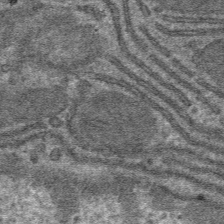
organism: Mouse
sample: Mouse hepatocytes